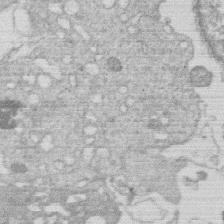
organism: Human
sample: Macrophage cells